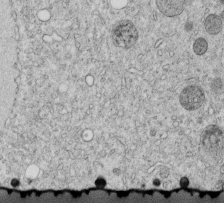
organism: C. elegans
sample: C. elegans embryo early stage